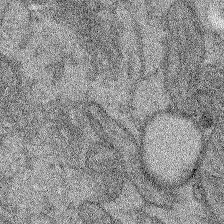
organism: Human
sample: HeLa cells